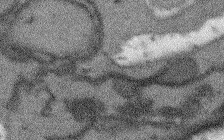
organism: Arabidopsis thaliana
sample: Root tip